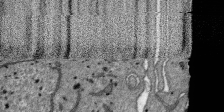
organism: Human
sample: Lung epithelial cells, uninfected (mock) control